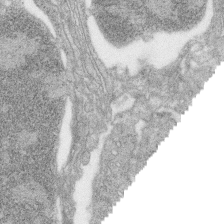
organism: Zebrafish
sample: synaptic ribbons in rod cells and cone cells